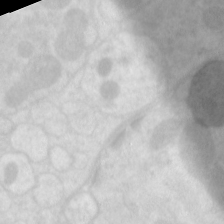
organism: C. elegans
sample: Pharynx